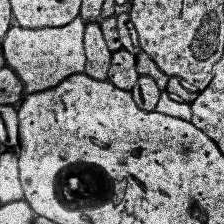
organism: Human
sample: Temporal Lobe